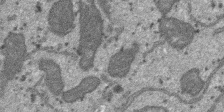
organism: Human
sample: Lung epithelial cells infected with SARS-CoV-2